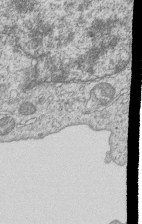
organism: Human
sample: MDA-MB-231 cells